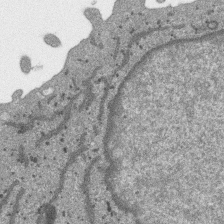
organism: Human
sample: Lung epithelial cells infected with SARS-CoV-2